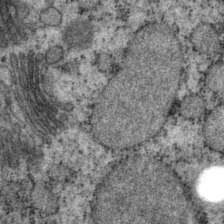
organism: P. pacificus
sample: Pharynx